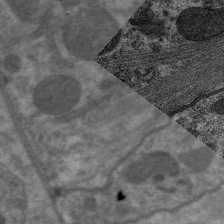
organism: C. elegans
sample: Pharynx